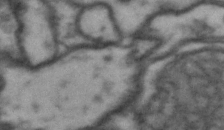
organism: Drosophila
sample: Brain